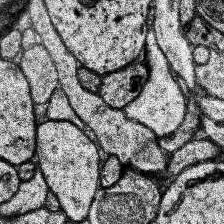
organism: Human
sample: Temporal Lobe